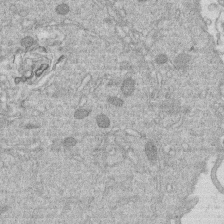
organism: Human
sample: Macrophage cells